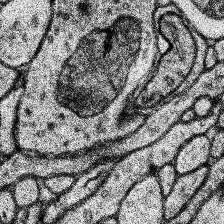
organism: Human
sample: Temporal Lobe